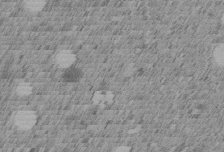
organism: C. elegans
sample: C. elegans embryo early stage